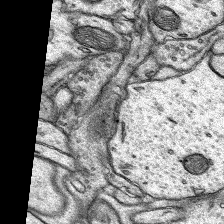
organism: Rat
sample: Hippocampus